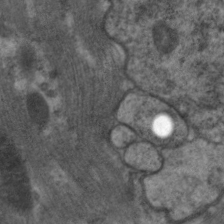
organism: C. elegans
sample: Pharynx